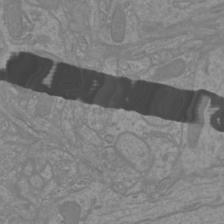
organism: Mouse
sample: Cortical neurons